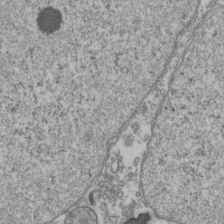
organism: Human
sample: Activated Jurkat CD4+ T cells